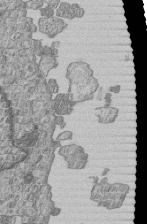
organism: Human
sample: MDA-MB-231 cells